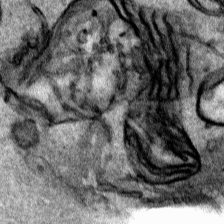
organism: Human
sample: Mitochondria in HCT116 cells